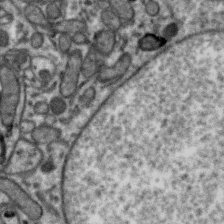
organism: Zebra finch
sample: Brain